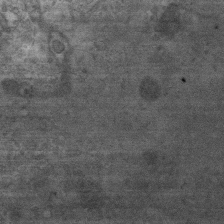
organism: Mouse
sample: Centriole in ependymal cells